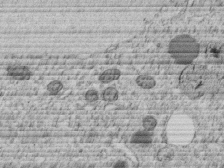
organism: C. elegans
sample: C. elegans embryo early stage